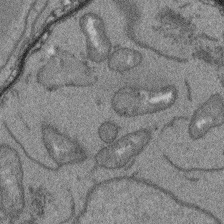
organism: Arabidopsis thaliana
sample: Root tip